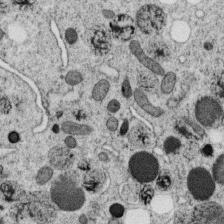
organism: C. elegans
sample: C. elegans oocyte; sperm cells